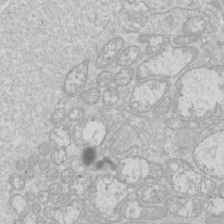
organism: Drosophila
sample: Cell division; meiosis; drosophila spermatocytes